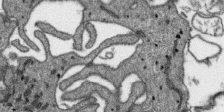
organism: Human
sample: Lung epithelial cells, uninfected (mock) control